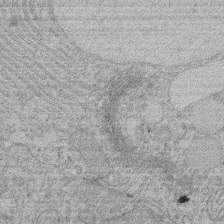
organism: Rat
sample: Salivary granule